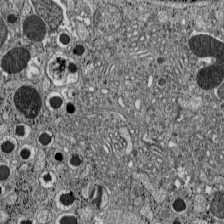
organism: C57BL Mouse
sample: Pancreatic islet